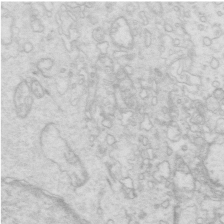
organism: Mouse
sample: Multiciliated cells